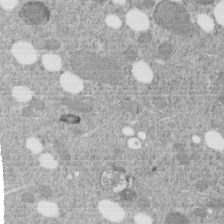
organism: C. elegans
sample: C. elegans embryo early stage